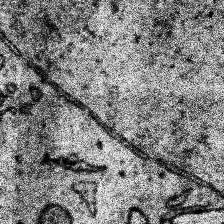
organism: Human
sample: Temporal Lobe